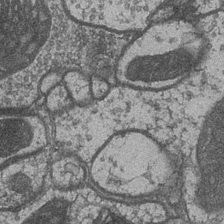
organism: Drosophila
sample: Optic medulla